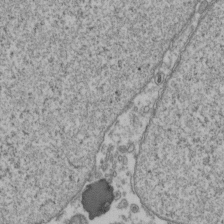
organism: Human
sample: Activated Jurkat CD4+ T cells